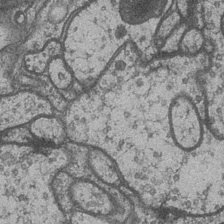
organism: Drosophila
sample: Optic medulla